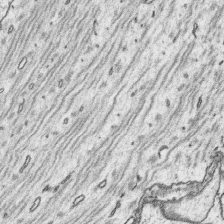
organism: Platynereis dumerilii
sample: Parapodia